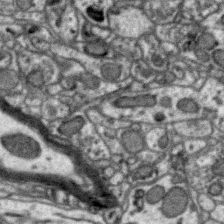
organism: Zebra finch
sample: Brain